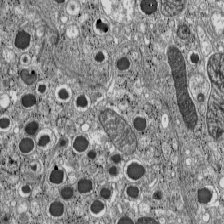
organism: C57BL Mouse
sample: Pancreatic islet